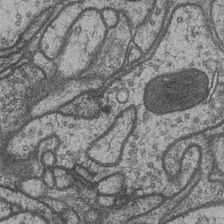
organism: Drosophila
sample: Optic medulla